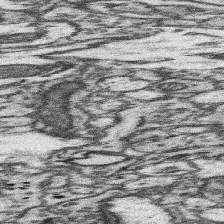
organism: Mouse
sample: Somatosensory cortex neuropil